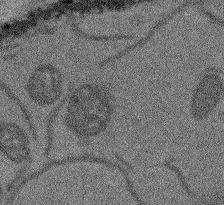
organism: Arabidopsis thaliana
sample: Root tip